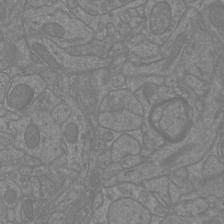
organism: Mouse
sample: Cortical neurons